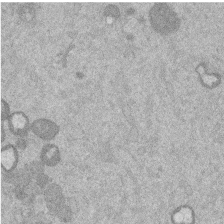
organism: Mouse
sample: Dividing mouse embryo 1 cell stage